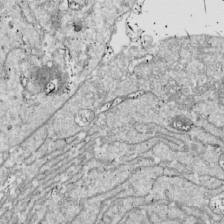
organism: Drosophila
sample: Cell division; meiosis; drosophila spermatocytes